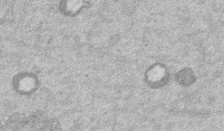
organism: Mouse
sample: Dividing mouse embryo 1 cell stage